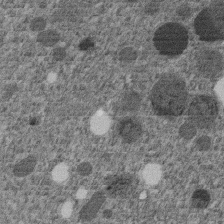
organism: C. elegans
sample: C. elegans embryo early stage